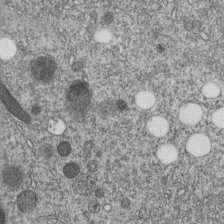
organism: C. elegans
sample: C. elegans embryo early stage